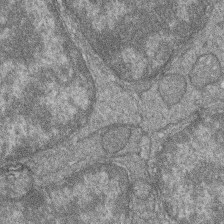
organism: Zebrafish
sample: Cilia; retinal pigment epithelium